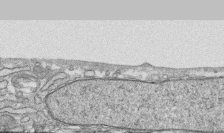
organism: Human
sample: CRL-1474